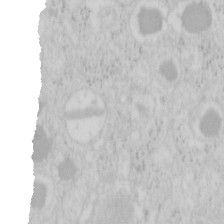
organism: Mouse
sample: Pancreas